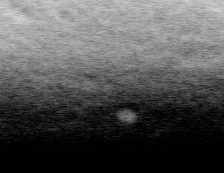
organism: Human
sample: HeLa cells